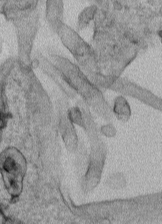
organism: Human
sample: Mitochondria in HCT116 cells